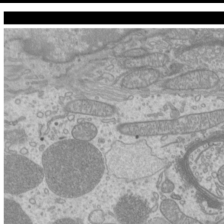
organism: Mouse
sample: Cilia; mouse epididymis